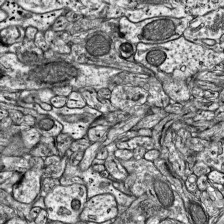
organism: Mouse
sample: Visual Cortex